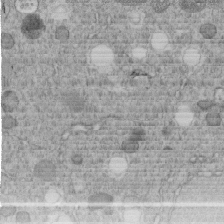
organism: C. elegans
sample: C. elegans embryo early stage